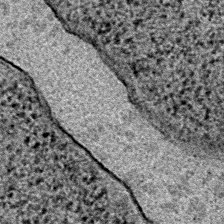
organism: E. coli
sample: E. Coli Bacteria